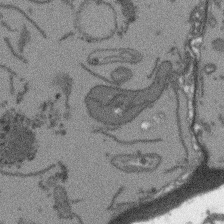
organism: Arabidopsis thaliana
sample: Root tip